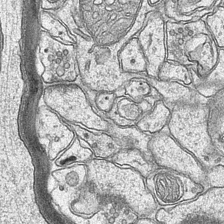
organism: Mouse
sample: CA1 Hippocampus